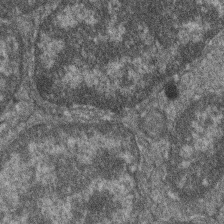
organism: Zebrafish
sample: Cilia; retinal pigment epithelium